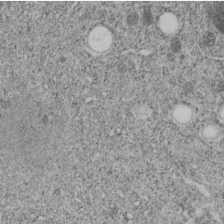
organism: C. elegans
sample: C. elegans embryo early stage